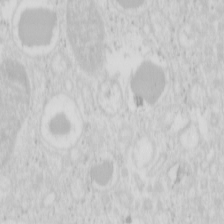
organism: Mouse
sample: Pancreas